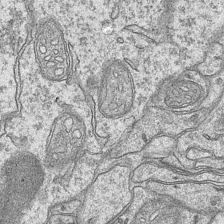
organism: Mouse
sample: CA1 Hippocampus